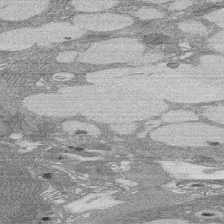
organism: Rat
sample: Salivary granule